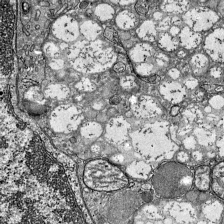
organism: Mouse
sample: Visual Cortex